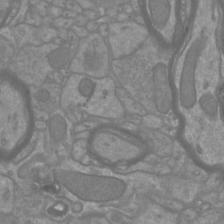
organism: Mouse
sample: Cortical neurons